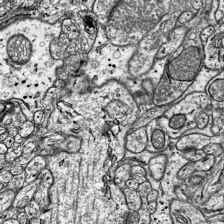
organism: Mouse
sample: Visual Cortex